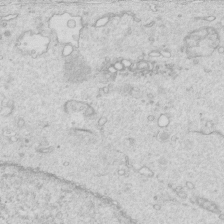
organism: Mouse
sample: Multiciliated cells